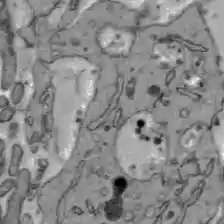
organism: C57BL Mouse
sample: Liver